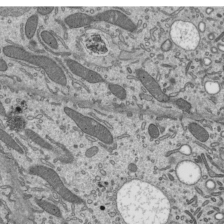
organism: Mouse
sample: Mouse epididymis efferent ductule cilia